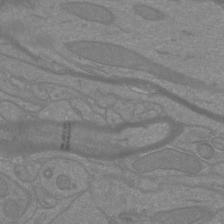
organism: Mouse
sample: Cortical neurons